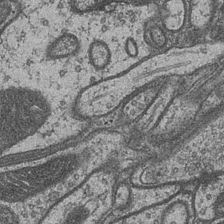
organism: Drosophila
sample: Optic medulla